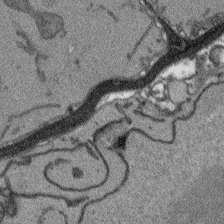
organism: Arabidopsis thaliana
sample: Root tip